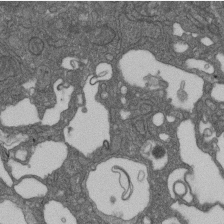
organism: Drosophila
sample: Nephrocyte